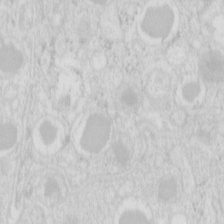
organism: Mouse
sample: Pancreas